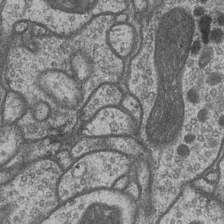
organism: Drosophila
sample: Optic medulla